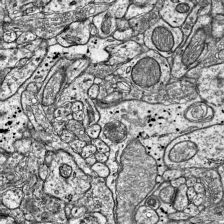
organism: Mouse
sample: Visual Cortex